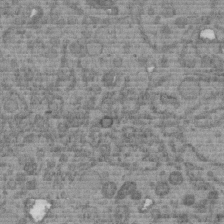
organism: C. elegans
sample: C. elegans embryo early stage